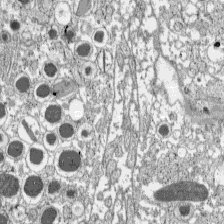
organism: C57BL Mouse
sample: Pancreatic islet